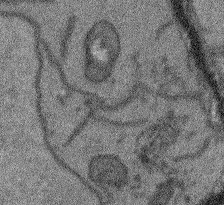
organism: Arabidopsis thaliana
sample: Root tip